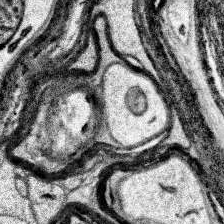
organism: Human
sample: Temporal Lobe